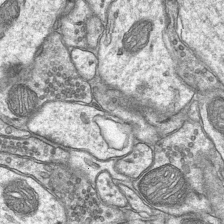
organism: Mouse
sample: CA1 Hippocampus